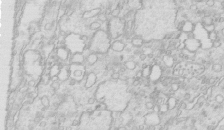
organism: Mouse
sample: Multiciliated cells